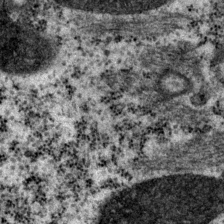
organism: P. pacificus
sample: Pharynx